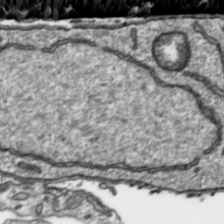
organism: Toxoplasma gondii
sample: Parasites in a vacuole inside a host cell